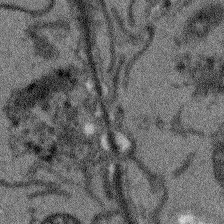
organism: Arabidopsis thaliana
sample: Root tip